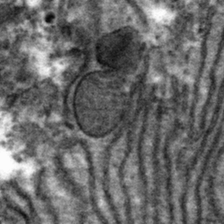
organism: Mouse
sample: Mouse hepatocytes